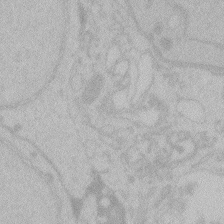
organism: Zebrafish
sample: Macrophage infected with Toxoplasma gondii